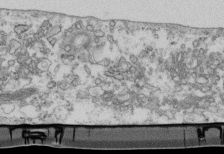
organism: Mouse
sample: Cilia; retinal pigment epithelium